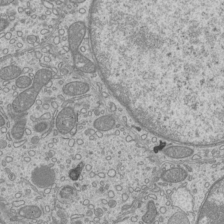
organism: Mouse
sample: Cilia; mouse epididymis